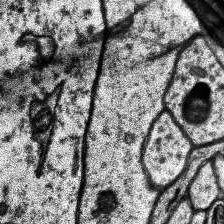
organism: Human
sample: Temporal Lobe